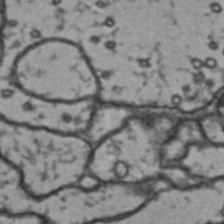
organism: Drosophila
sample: Brain